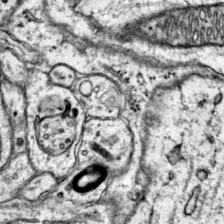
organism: Mouse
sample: Primary visual cortex